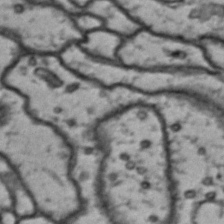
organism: Drosophila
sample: Brain